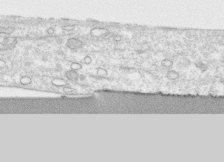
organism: Human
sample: CRL-1474